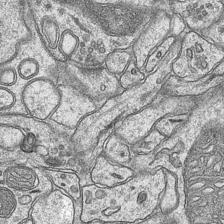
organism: Mouse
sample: CA1 Hippocampus